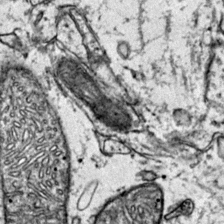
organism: Mouse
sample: Primary visual cortex